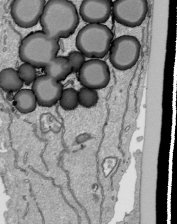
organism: Human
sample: Mitochondria in HCT116 cells